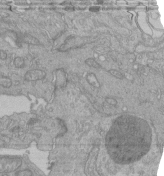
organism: Human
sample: Retinal organoid Rod and Cone cells